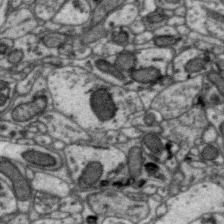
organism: Zebra finch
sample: Brain